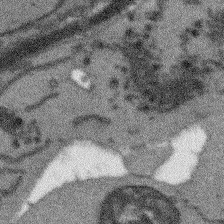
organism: Arabidopsis thaliana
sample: Root tip